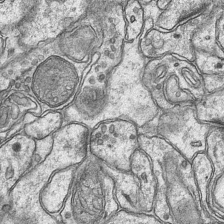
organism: Mouse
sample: CA1 Hippocampus